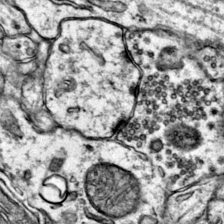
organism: Mouse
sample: Primary visual cortex